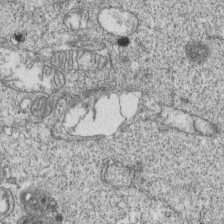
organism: Human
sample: HeLa cell HIV synapse